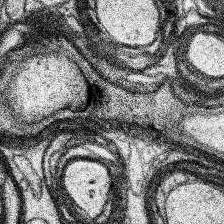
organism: Human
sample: Temporal Lobe